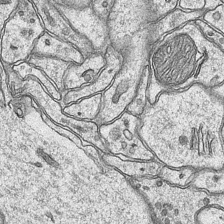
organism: Mouse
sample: CA1 Hippocampus